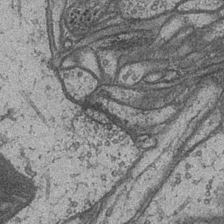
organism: Drosophila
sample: Optic medulla